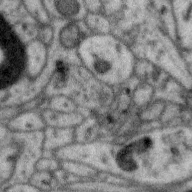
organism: Zebra finch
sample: Brain